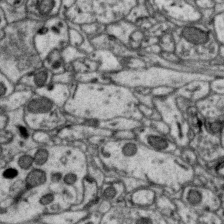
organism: Zebra finch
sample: Brain